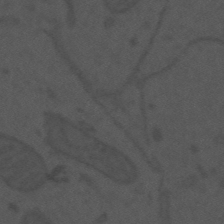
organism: Mouse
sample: Suprachiasmatic nucleus